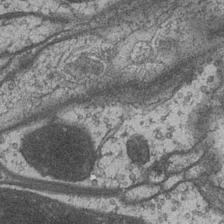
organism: Drosophila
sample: Optic medulla